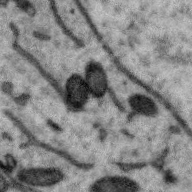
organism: Zebra finch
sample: Brain